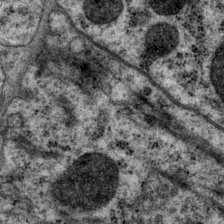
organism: P. pacificus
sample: Pharynx